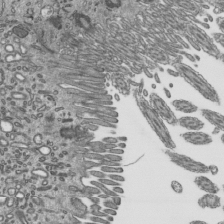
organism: Mouse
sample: Mouse epididymis efferent ductule cilia